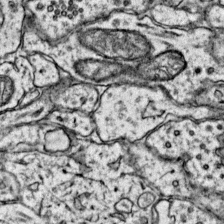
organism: Mouse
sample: Primary visual cortex